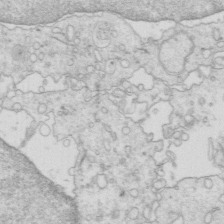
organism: Mouse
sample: Multiciliated cells